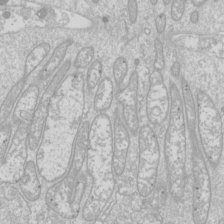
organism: Drosophila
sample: Cell division; meiosis; drosophila spermatocytes